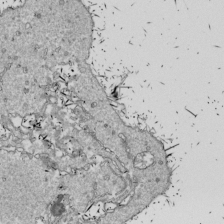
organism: Drosophila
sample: Cell division; meiosis; drosophila spermatocytes